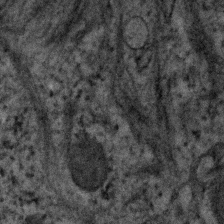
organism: Human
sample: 1205lu cells